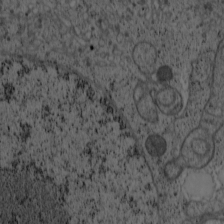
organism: African green monkey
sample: COS-7 cells